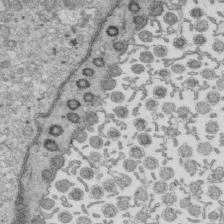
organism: Mouse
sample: Multiciliated cells